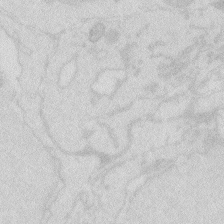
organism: Zebrafish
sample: Macrophage